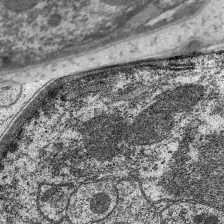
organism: C. elegans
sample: Pharynx